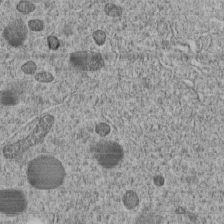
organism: C. elegans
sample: C. elegans embryo early stage